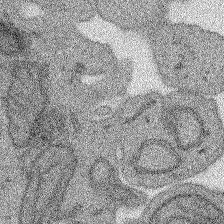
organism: Human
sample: HeLa cells